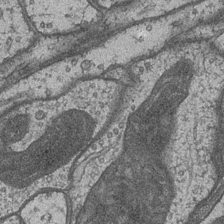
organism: Drosophila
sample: Optic medulla